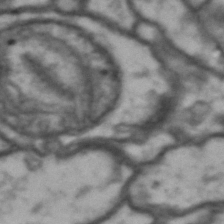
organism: Drosophila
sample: Brain